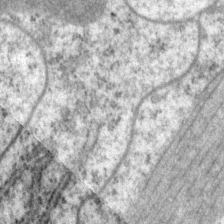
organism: P. pacificus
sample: Pharynx